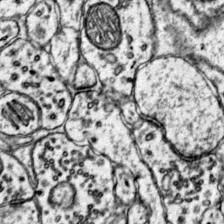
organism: Mouse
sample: Primary visual cortex